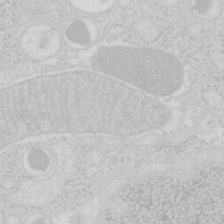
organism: Mouse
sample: Pancreas